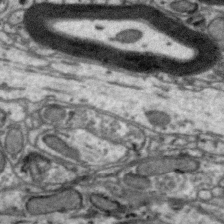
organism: Zebra finch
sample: Brain